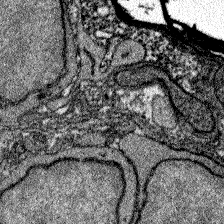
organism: Zebrafish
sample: Larval olfactory bulb